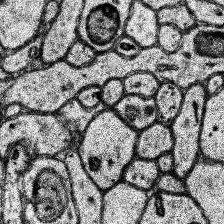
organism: Human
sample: Temporal Lobe